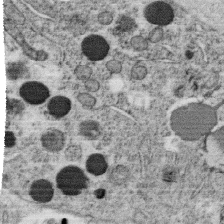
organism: C. elegans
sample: C. elegans oocyte; sperm cells